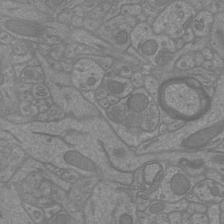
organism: Mouse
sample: Cortical neurons